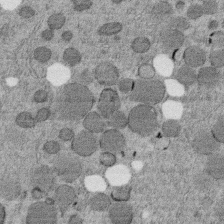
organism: C. elegans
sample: C. elegans embryo early stage